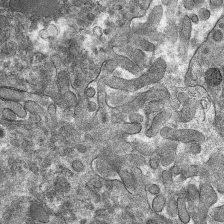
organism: Mouse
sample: Mouse hepatocytes